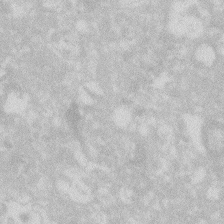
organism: Zebrafish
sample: Macrophage